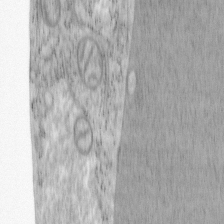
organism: Human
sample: HeLa cells